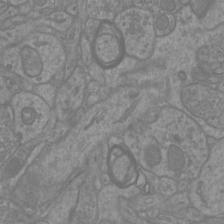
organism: Mouse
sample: Cortical neurons